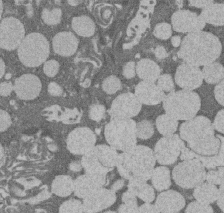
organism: Rat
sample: Salivary granule